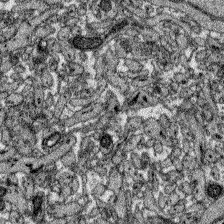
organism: Zebrafish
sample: Larval olfactory bulb